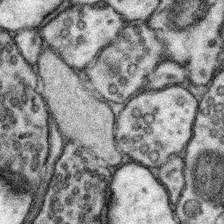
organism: Mouse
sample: Somatosensory cortex neuropil